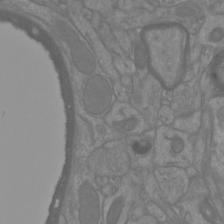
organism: Mouse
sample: Cortical neurons